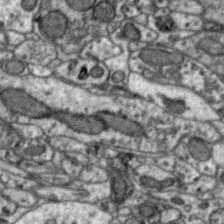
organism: Zebra finch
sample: Brain